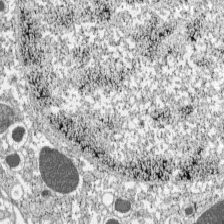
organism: C57BL Mouse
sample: Pancreatic islet